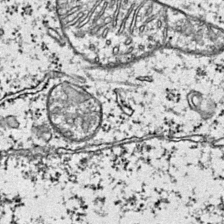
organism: Mouse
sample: Primary visual cortex